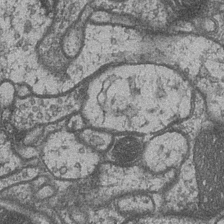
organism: Drosophila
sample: Optic medulla